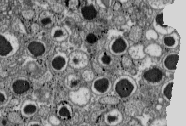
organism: C57BL Mouse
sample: Pancreatic islet